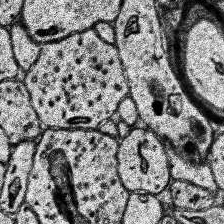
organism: Human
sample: Temporal Lobe